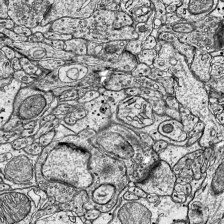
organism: Mouse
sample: Visual Cortex